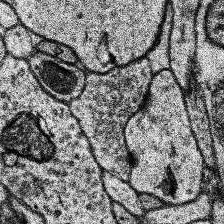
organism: Human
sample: Temporal Lobe